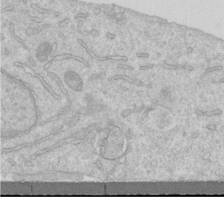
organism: Human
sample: Centriole in RPE cells